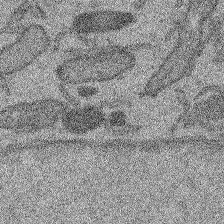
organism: Human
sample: HeLa cells